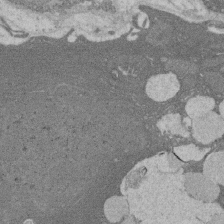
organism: Rat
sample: Salivary granule